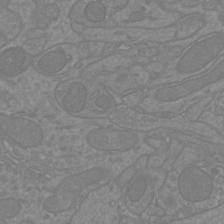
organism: Mouse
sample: Cortical neurons